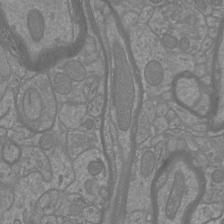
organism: Mouse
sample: Cortical neurons